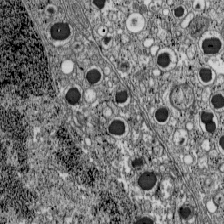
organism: C57BL Mouse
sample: Pancreatic islet